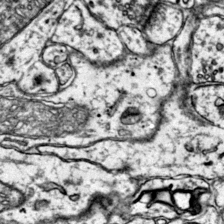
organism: Mouse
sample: Primary visual cortex